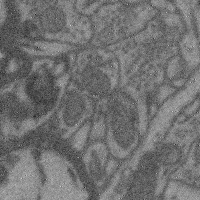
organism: Mouse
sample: Cerebral cortex